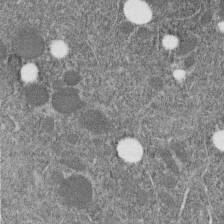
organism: C. elegans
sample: C. elegans embryo early stage